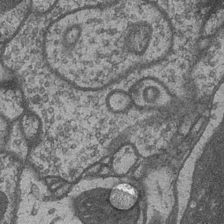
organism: Drosophila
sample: Optic medulla